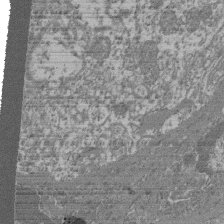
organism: Mouse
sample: Glomerulus